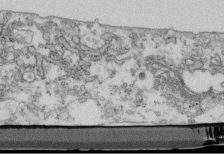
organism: Mouse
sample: Cilia; retinal pigment epithelium